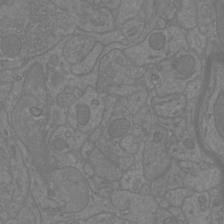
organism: Mouse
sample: Cortical neurons